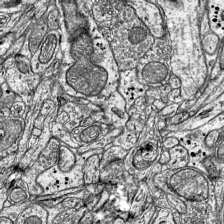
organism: Mouse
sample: Visual Cortex